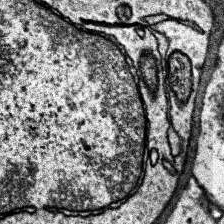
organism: Human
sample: Temporal Lobe